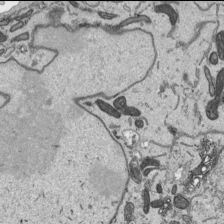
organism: Human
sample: Mitochondria in HCT116 cells